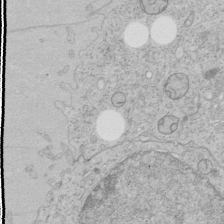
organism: Human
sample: Mitochondria in HCT116 cells